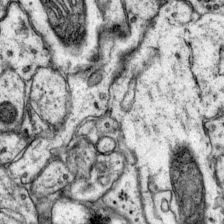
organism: Mouse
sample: Primary visual cortex